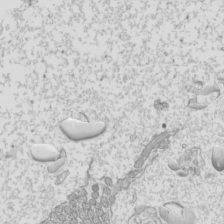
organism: Mouse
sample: Cilia; mouse epididymis